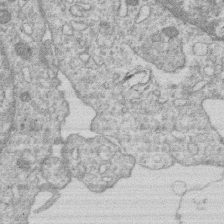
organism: Human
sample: Macrophage cells